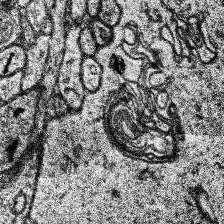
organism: Human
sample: Temporal Lobe